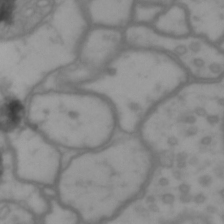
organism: Drosophila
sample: Brain